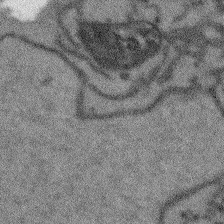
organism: Arabidopsis thaliana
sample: Root tip